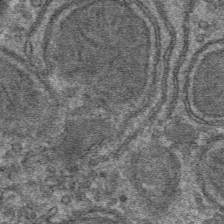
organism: Mouse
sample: Mouse hepatocytes